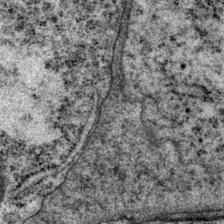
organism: P. pacificus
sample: Pharynx